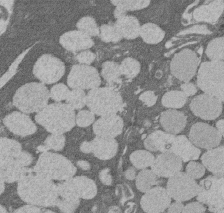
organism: Rat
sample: Salivary granule